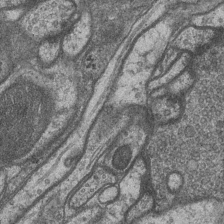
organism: Drosophila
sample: Optic medulla